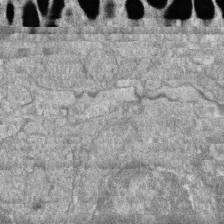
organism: Zebrafish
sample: Cilia; retinal pigment epithelium